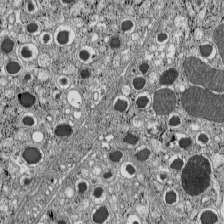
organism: C57BL Mouse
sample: Pancreatic islet